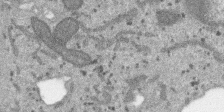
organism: Human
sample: Lung epithelial cells infected with SARS-CoV-2